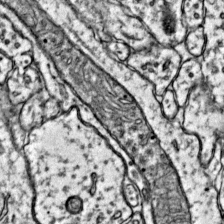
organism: Mouse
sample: Primary visual cortex